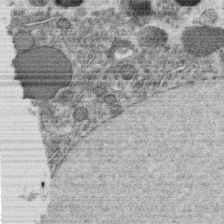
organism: C. elegans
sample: C. elegans oocyte; sperm cells